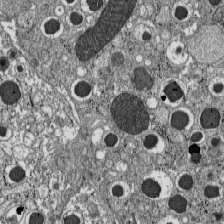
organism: C57BL Mouse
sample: Pancreatic islet